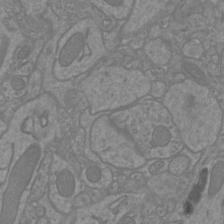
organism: Mouse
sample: Cortical neurons